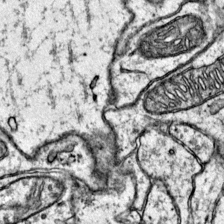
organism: Mouse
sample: Primary visual cortex